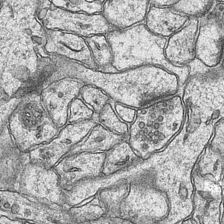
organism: Mouse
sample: CA1 Hippocampus